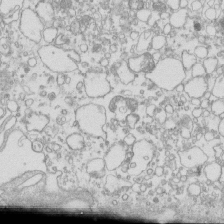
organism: Mouse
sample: Macrophages